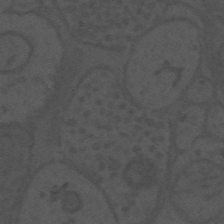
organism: Mouse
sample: Suprachiasmatic nucleus